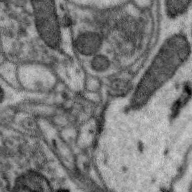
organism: Zebra finch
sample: Brain